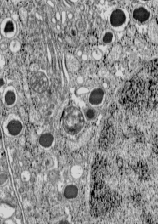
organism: C57BL Mouse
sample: Pancreatic islet